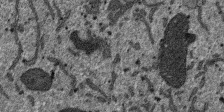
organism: Human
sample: Lung epithelial cells infected with SARS-CoV-2